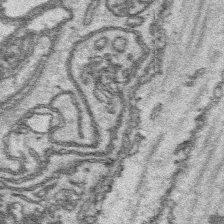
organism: Platynereis dumerilii